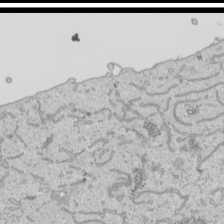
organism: Human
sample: Mitochondria in HCT116 cells